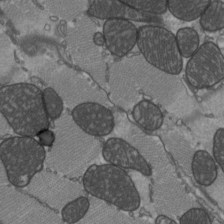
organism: C57BL Mouse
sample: Heart